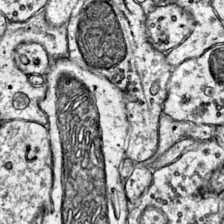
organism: Mouse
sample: Primary visual cortex